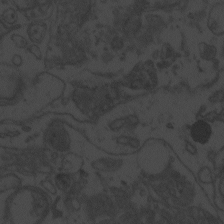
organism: Zebrafish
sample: Macrophage infected with Toxoplasma gondii